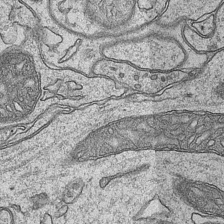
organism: Mouse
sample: CA1 Hippocampus